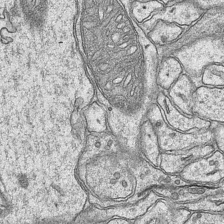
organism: Mouse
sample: CA1 Hippocampus